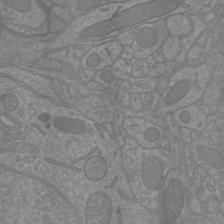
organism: Mouse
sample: Cortical neurons